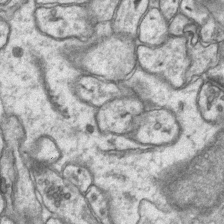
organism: Mouse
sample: CA1 Hippocampus